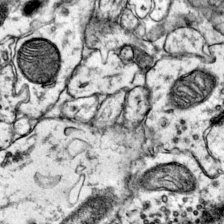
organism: Mouse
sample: Primary visual cortex